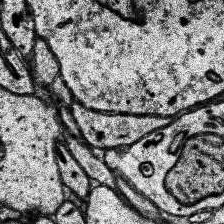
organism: Human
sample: Temporal Lobe